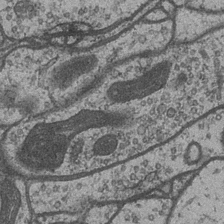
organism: Drosophila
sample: Optic medulla